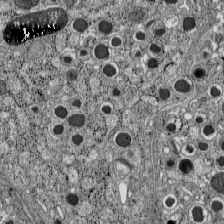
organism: C57BL Mouse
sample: Pancreatic islet